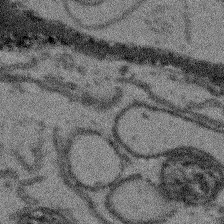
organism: Arabidopsis thaliana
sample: Root tip